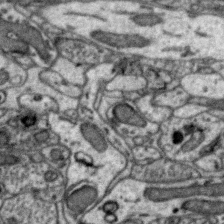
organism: Zebra finch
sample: Brain